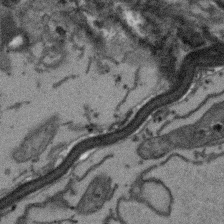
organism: Arabidopsis thaliana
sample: Root tip